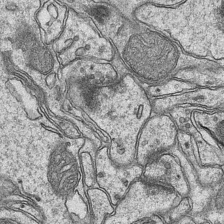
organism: Mouse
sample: CA1 Hippocampus